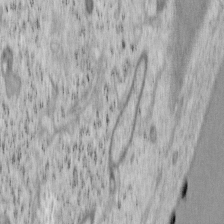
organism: Human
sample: HeLa cells